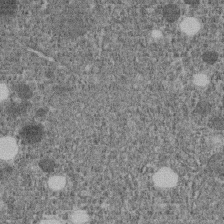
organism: C. elegans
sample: C. elegans embryo early stage